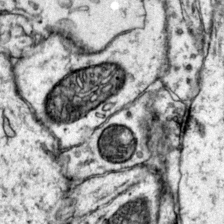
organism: Mouse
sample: Primary visual cortex